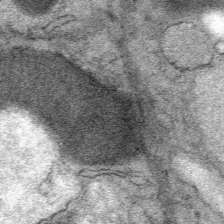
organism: Mouse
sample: Mouse Salivary gland